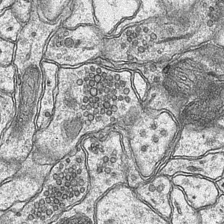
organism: Mouse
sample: CA1 Hippocampus